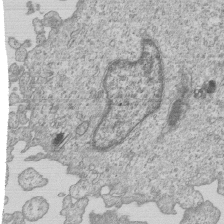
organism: Human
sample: MDA-MB-231 cells